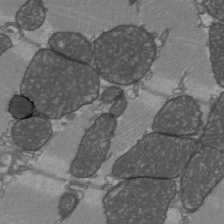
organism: C57BL Mouse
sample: Heart